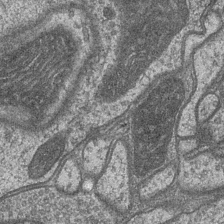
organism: Drosophila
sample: Optic medulla